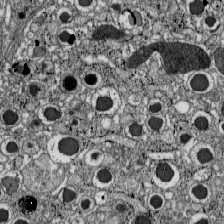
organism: C57BL Mouse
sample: Pancreatic islet